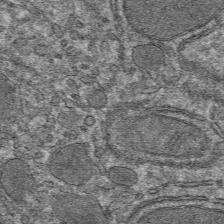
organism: Mouse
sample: Mouse hepatocytes